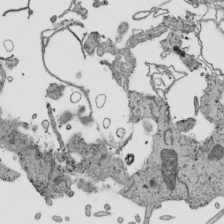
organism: Human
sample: Mitochondria in HCT116 cells